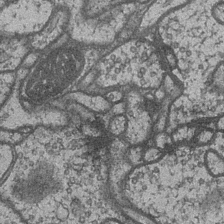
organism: Drosophila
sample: Optic medulla